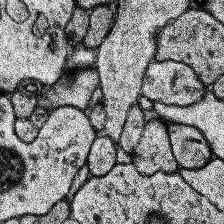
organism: Human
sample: Temporal Lobe